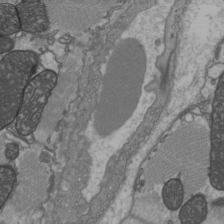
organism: C57BL Mouse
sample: Heart